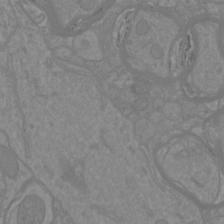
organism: Mouse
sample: Cortical neurons